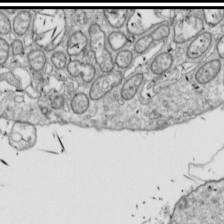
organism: Drosophila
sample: Cell division; meiosis; drosophila spermatocytes